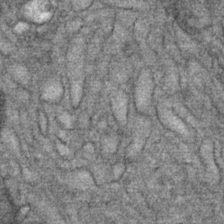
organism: Mouse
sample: Mouse Salivary gland